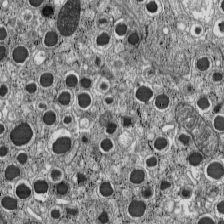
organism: C57BL Mouse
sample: Pancreatic islet